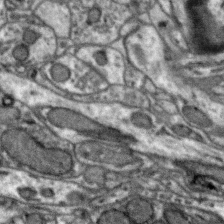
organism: Zebra finch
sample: Brain